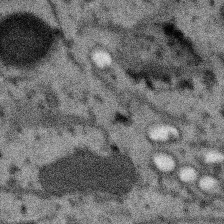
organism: Human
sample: Lung epithelial cells infected with SARS-CoV-2